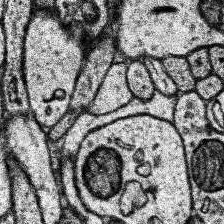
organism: Human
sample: Temporal Lobe